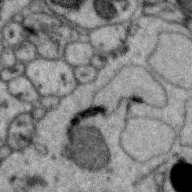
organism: Zebra finch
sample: Brain